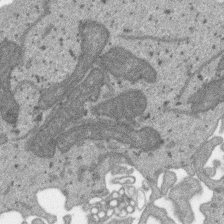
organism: Human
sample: Lung epithelial cells infected with SARS-CoV-2